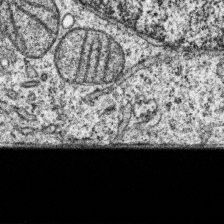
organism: Human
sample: HeLa cells